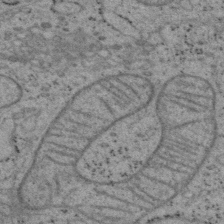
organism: Human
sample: HeLa cells